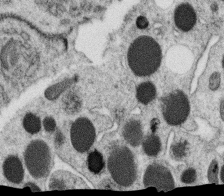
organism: C. elegans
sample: C. elegans oocyte; sperm cells